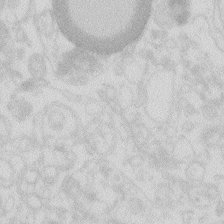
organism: Zebrafish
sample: Macrophage